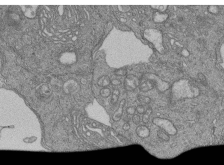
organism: Human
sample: Retinal organoid Rod and Cone cells